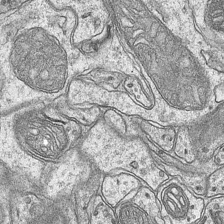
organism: Mouse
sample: CA1 Hippocampus